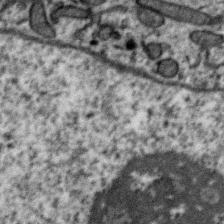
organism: Zebra finch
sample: Brain